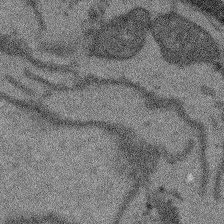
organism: Arabidopsis thaliana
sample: Root tip